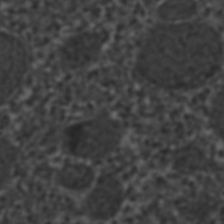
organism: C. elegans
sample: C. elegans embryo